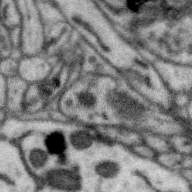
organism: Zebra finch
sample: Brain